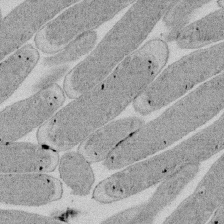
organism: E. coli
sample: Bacterial nucleoid